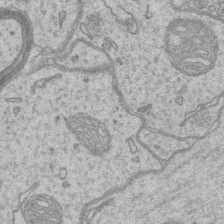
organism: Mouse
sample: CA1 Hippocampus